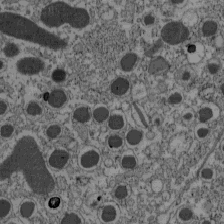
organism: C57BL Mouse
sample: Pancreatic islet